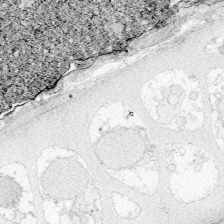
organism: Zebrafish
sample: Whole-Brain